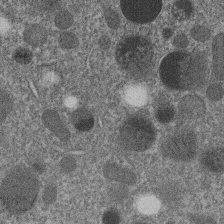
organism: C. elegans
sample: C. elegans embryo early stage